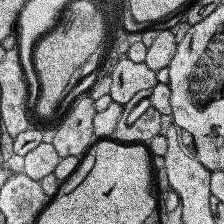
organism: Human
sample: Temporal Lobe